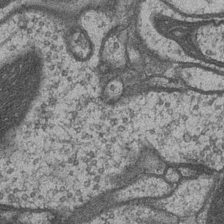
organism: Drosophila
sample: Optic medulla